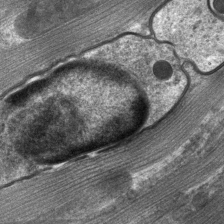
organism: C. elegans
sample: Pharynx